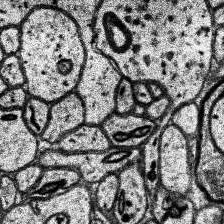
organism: Human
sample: Temporal Lobe